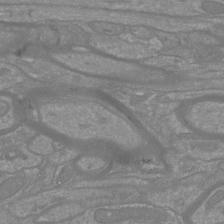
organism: Mouse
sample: Cortical neurons